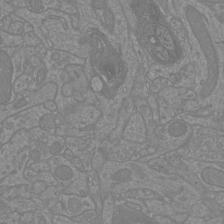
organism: Mouse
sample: Cortical neurons